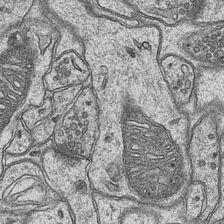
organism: Mouse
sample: CA1 Hippocampus